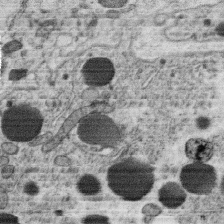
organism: C. elegans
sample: C. elegans oocyte; sperm cells